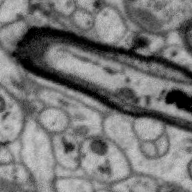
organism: Zebra finch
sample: Brain